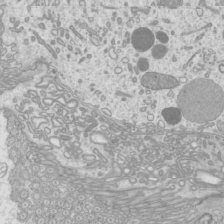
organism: Mouse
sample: Cilia; mouse epididymis